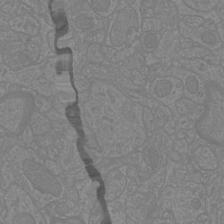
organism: Mouse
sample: Cortical neurons